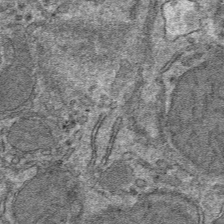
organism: Mouse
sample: Mouse hepatocytes